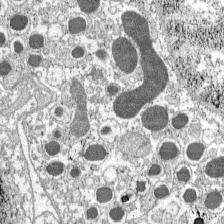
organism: C57BL Mouse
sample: Pancreatic islet